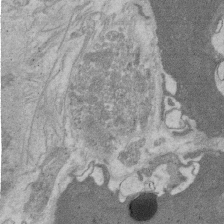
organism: Rat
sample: Salivary granule